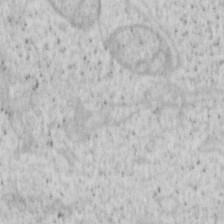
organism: Human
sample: HeLa cells